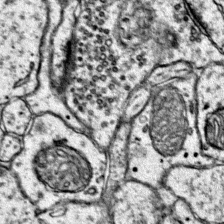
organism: Mouse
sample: Primary visual cortex